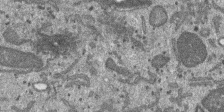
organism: Human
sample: Lung epithelial cells infected with SARS-CoV-2